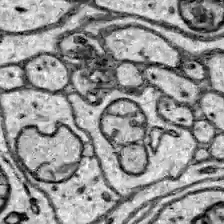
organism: Zebrafish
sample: Brain